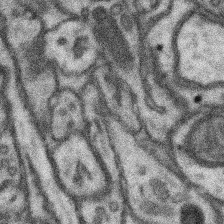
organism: Mouse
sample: Somatosensory cortex neuropil